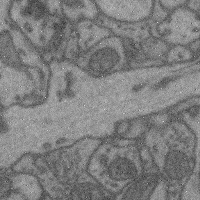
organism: Mouse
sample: Cerebral cortex